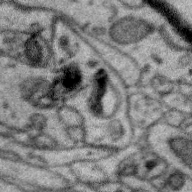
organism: Zebra finch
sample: Brain